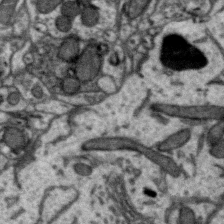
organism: Zebra finch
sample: Brain